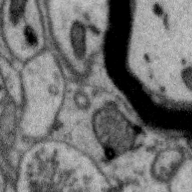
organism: Zebra finch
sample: Brain